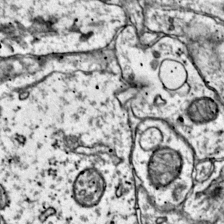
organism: Mouse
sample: Primary visual cortex